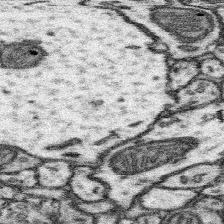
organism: Mouse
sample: Somatosensory cortex neuropil